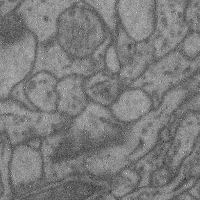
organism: Mouse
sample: Cerebral cortex